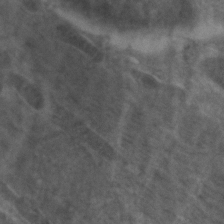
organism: Zebrafish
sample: Zebrafish embryo